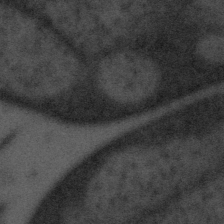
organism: Tuwongella immobilis